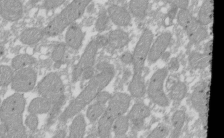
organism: Xenopus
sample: Cilia; centrioles in frog embryo cells